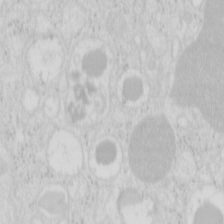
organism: Mouse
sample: Pancreas